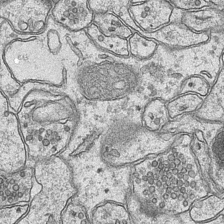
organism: Mouse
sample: CA1 Hippocampus